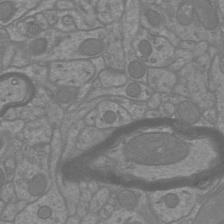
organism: Mouse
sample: Cortical neurons